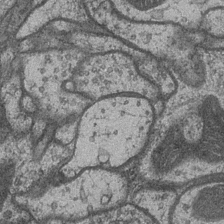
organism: Drosophila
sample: Optic medulla